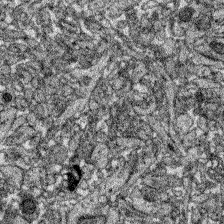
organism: Zebrafish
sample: Larval olfactory bulb